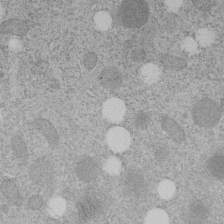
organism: C. elegans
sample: C. elegans embryo early stage